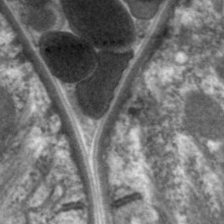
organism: C. elegans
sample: Pharynx